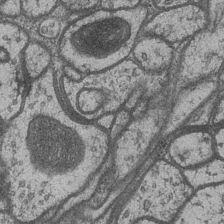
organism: Drosophila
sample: Optic medulla